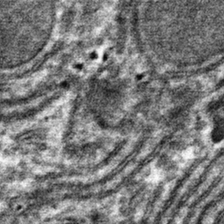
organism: Mouse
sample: Mouse hepatocytes